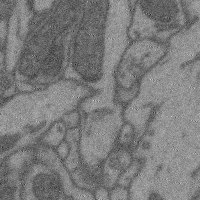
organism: Mouse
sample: Cerebral cortex